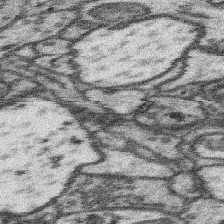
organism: Mouse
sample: Somatosensory cortex neuropil